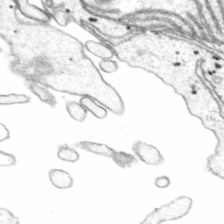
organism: Human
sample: HeLa cells